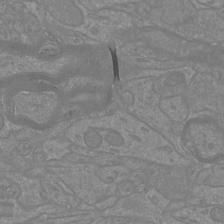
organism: Mouse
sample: Cortical neurons